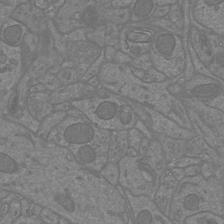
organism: Mouse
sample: Cortical neurons